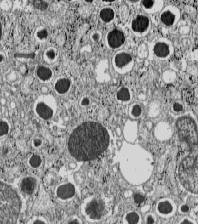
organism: C57BL Mouse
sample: Pancreatic islet